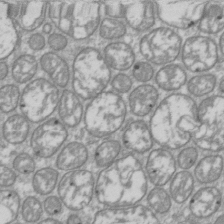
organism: Drosophila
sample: Cell division; meiosis; drosophila spermatocytes